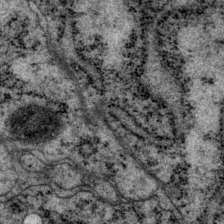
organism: P. pacificus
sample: Pharynx